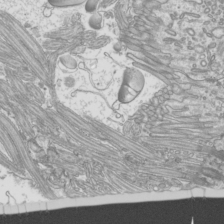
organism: Mouse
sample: Cilia; mouse epididymis